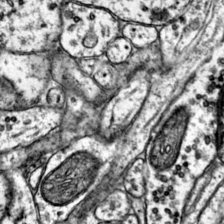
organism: Mouse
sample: Primary visual cortex